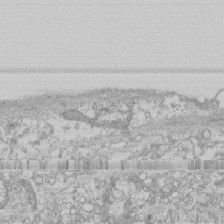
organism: Human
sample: CRL-1474